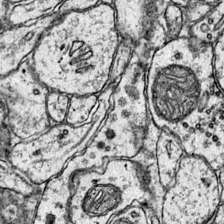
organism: Mouse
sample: Primary visual cortex